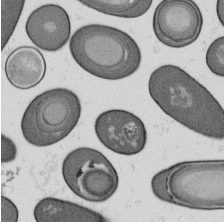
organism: B. subtilis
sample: Bacterial spore